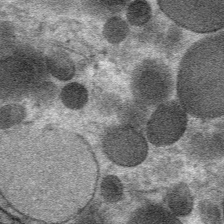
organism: Mouse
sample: Mouse Salivary gland